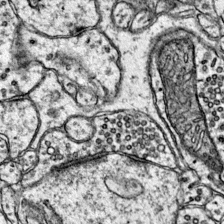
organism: Mouse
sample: Primary visual cortex